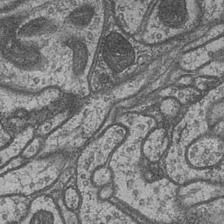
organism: Drosophila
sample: Optic medulla